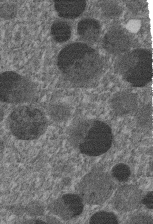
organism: C. elegans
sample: C. elegans embryo early stage